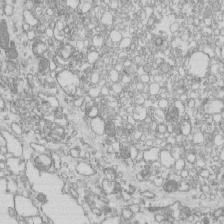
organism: Mouse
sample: Macrophages